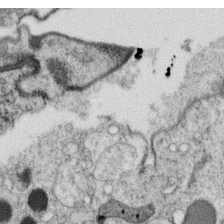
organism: C. elegans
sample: C. elegans oocyte; sperm cells